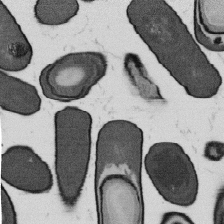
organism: B. subtilis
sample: Bacterial spore